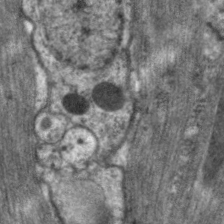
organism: C. elegans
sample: Pharynx